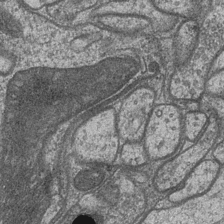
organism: Drosophila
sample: Optic medulla